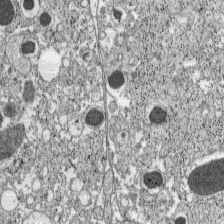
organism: C57BL Mouse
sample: Pancreatic islet